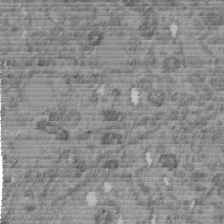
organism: C. elegans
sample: C. elegans embryo early stage